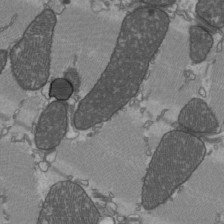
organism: C57BL Mouse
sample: Heart